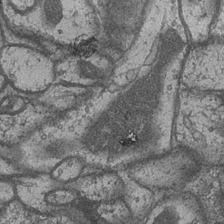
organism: Drosophila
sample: Optic medulla